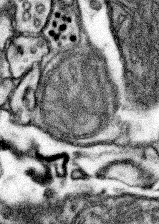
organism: Mouse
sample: Somatosensory cortex neuropil